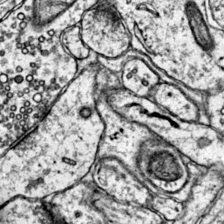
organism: Mouse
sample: Primary visual cortex